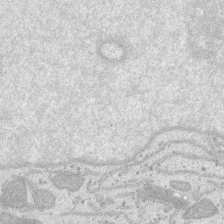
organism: Human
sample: Lung epithelial cells infected with SARS-CoV-2